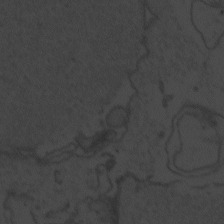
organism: Zebrafish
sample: Macrophage infected with Toxoplasma gondii